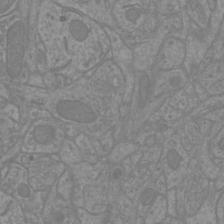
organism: Mouse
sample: Cortical neurons